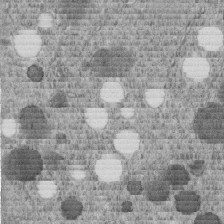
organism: C. elegans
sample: C. elegans embryo early stage